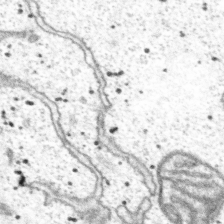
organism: Human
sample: HeLa cells